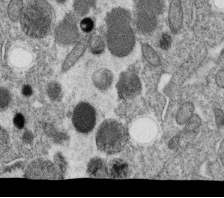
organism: C. elegans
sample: C. elegans oocyte; sperm cells